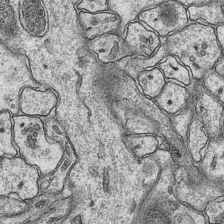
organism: Mouse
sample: CA1 Hippocampus